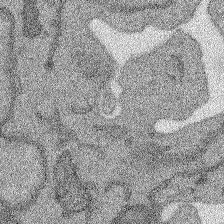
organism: Human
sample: HeLa cells